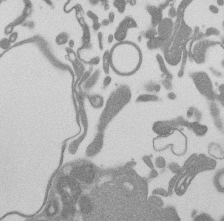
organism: Mouse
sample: Dividing mouse embryo 1 cell stage